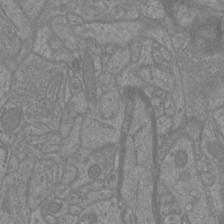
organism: Mouse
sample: Cortical neurons